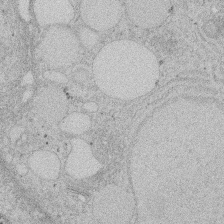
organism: Rat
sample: Salivary granule